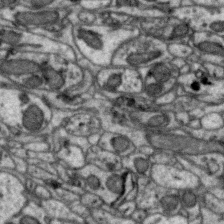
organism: Zebra finch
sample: Brain